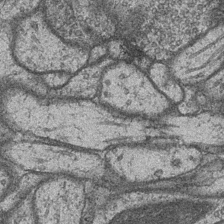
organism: Drosophila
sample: Optic medulla